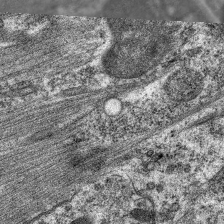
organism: C. elegans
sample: Pharynx